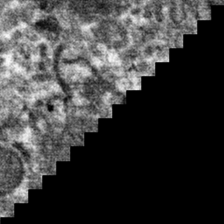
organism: Mouse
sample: Mouse hepatocytes